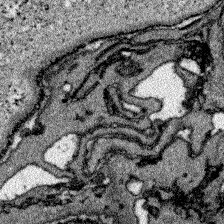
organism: Zebrafish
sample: Larval olfactory bulb